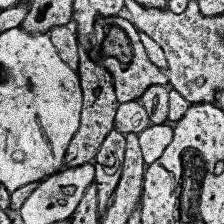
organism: Human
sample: Temporal Lobe